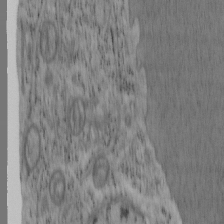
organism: Human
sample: HeLa cells